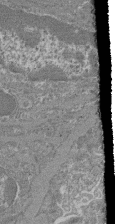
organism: Mouse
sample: Glomerulus